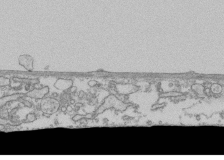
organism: Human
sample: Fibroblast cells